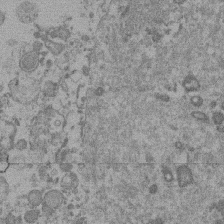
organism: Mouse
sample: Dividing mouse embryo 1 cell stage